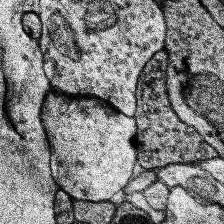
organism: Human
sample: Temporal Lobe